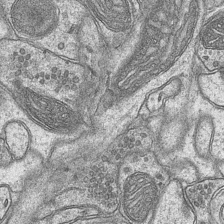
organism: Mouse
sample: CA1 Hippocampus